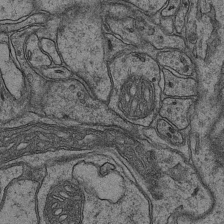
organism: Mouse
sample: CA1 Hippocampus